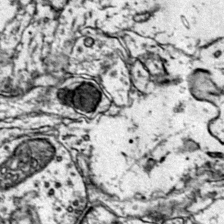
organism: Mouse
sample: Primary visual cortex